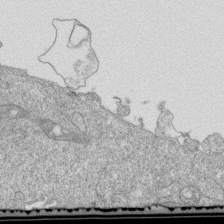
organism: Human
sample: HeLa cell HIV synapse